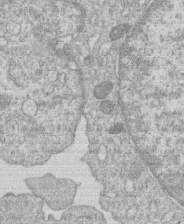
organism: Human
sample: Macrophage cells